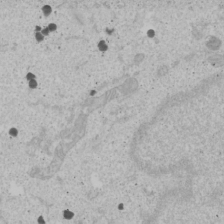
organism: Human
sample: Mitochondria in U2OS cells